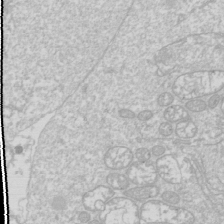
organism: Drosophila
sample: Cell division; meiosis; drosophila spermatocytes